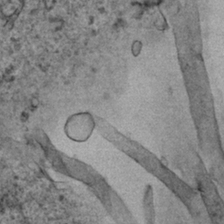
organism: Human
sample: Mitochondria in HCT116 cells